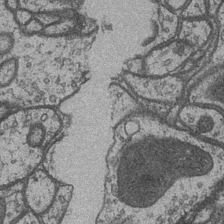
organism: Drosophila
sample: Optic medulla